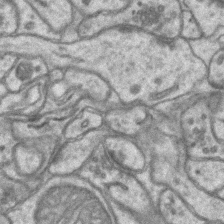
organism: Mouse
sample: CA1 Hippocampus